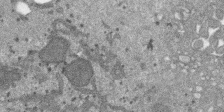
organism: Human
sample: Lung epithelial cells infected with SARS-CoV-2